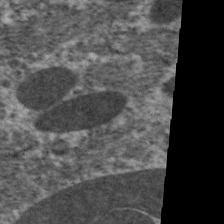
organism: C. elegans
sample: Pharynx